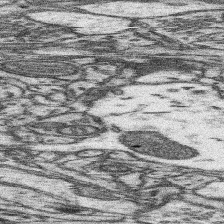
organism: Mouse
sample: Somatosensory cortex neuropil